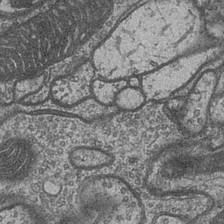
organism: Drosophila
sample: Optic medulla